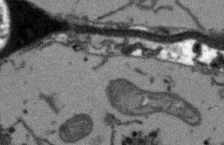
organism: Arabidopsis thaliana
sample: Root tip